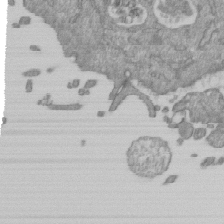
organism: Mouse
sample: ED-1 cell nuclei; centrioles